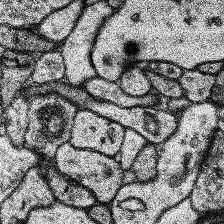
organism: Human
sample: Temporal Lobe